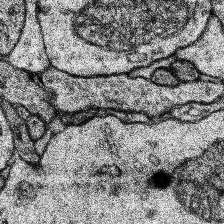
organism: Human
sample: Temporal Lobe